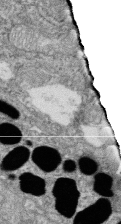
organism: Zebrafish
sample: Cilia; retinal pigment epithelium